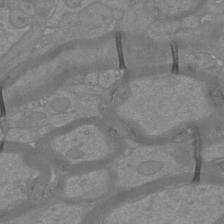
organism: Mouse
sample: Cortical neurons